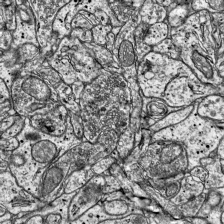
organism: Mouse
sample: Visual Cortex